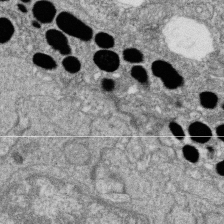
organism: Zebrafish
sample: Cilia; retinal pigment epithelium